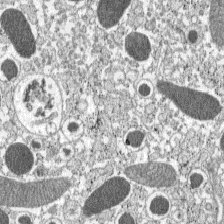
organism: C57BL Mouse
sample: Pancreatic islet